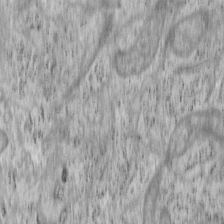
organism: Human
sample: HeLa cells